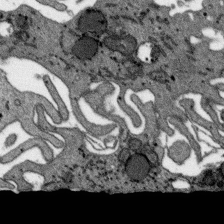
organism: Human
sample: Lung epithelial cells, uninfected (mock) control